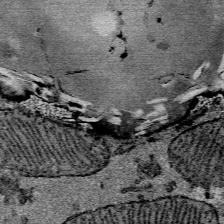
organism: Mouse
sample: Mouse Salivary gland